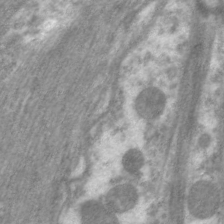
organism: C. elegans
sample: Pharynx